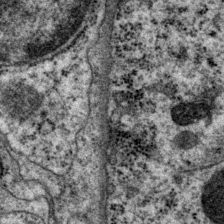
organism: P. pacificus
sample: Pharynx